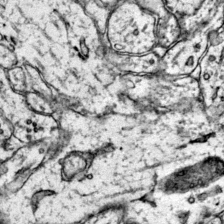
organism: Mouse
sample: Primary visual cortex